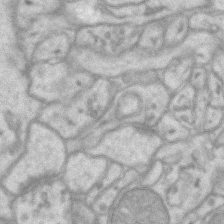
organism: Mouse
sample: CA1 Hippocampus